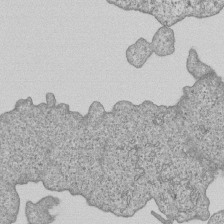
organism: Human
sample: MDA-MB-231 cells